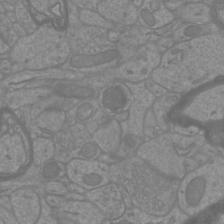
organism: Mouse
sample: Cortical neurons